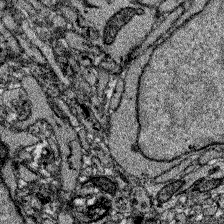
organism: Zebrafish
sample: Larval olfactory bulb